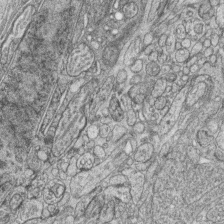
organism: Zebrafish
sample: synaptic ribbons in rod cells and cone cells